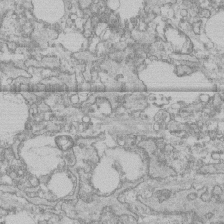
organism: Human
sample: CRL-1474